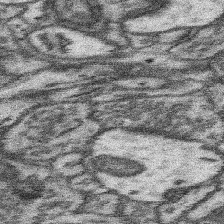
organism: Mouse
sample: Somatosensory cortex neuropil